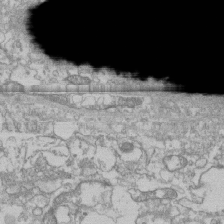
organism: Human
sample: CRL-1474